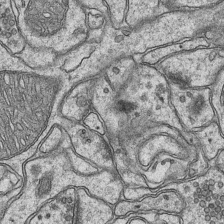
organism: Mouse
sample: CA1 Hippocampus